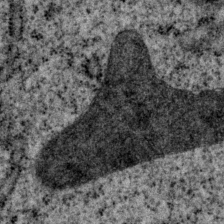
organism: P. pacificus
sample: Pharynx